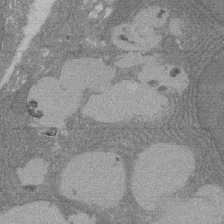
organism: Rat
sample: Salivary granule